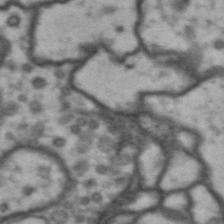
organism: Drosophila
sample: Brain